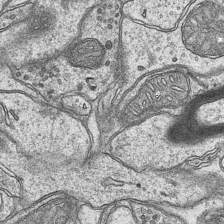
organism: Mouse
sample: CA1 Hippocampus